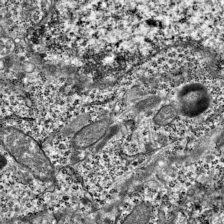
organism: Mouse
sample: Visual Cortex